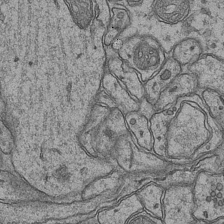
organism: Mouse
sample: CA1 Hippocampus